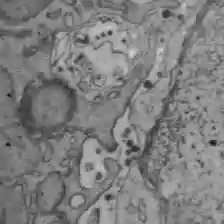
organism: C57BL Mouse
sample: Liver